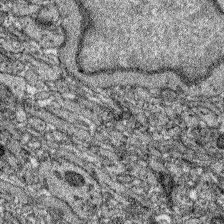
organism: Zebrafish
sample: Larval olfactory bulb